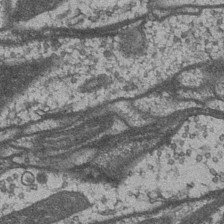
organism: Drosophila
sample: Optic medulla